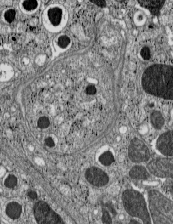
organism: C57BL Mouse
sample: Pancreatic islet